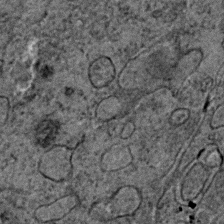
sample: Trachea